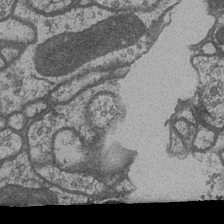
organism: Drosophila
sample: Optic medulla